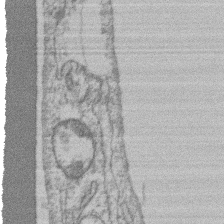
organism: Mouse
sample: T cell stromal cell synapse